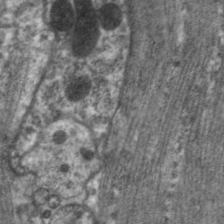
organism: C. elegans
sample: Pharynx